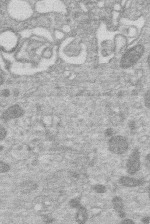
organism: Human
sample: Macrophage cells